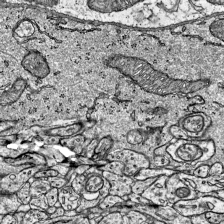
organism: Mouse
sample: Visual Cortex